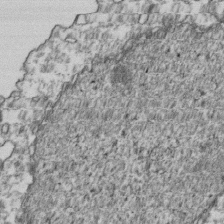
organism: Human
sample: Activated Jurkat CD4+ T cells